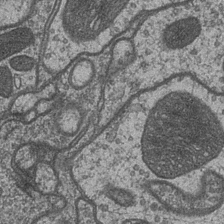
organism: Drosophila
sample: Optic medulla